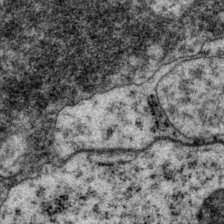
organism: P. pacificus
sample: Pharynx